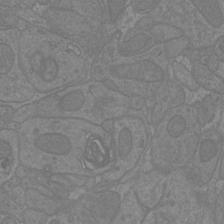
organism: Mouse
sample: Cortical neurons